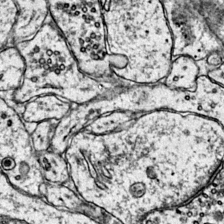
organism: Mouse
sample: Primary visual cortex